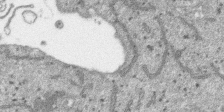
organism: Human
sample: Lung epithelial cells infected with SARS-CoV-2